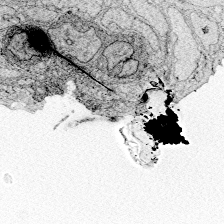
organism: Zebrafish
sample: Whole-Brain